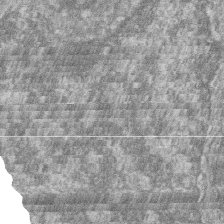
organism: Zebrafish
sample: Cilia; retinal pigment epithelium